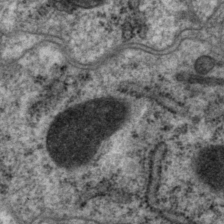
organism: P. pacificus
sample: Pharynx